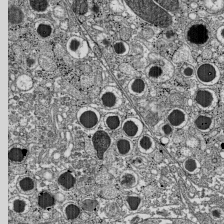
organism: C57BL Mouse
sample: Pancreatic islet